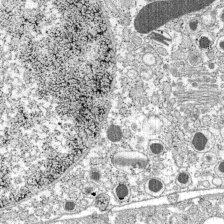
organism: C57BL Mouse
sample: Pancreatic islet